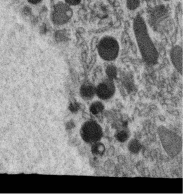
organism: C. elegans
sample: C. elegans oocyte; sperm cells